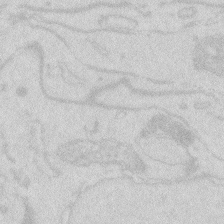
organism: Zebrafish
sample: Macrophage